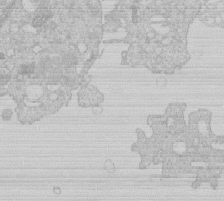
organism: Human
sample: Macrophage cells